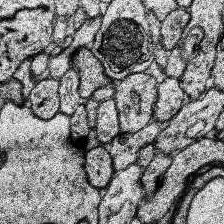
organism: Human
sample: Temporal Lobe